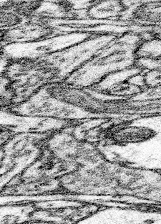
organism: Mouse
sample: Somatosensory cortex neuropil